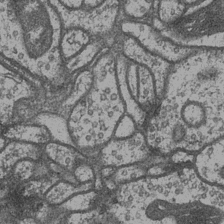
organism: Drosophila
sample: Optic medulla